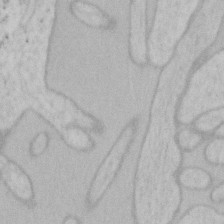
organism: Human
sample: HeLa cells